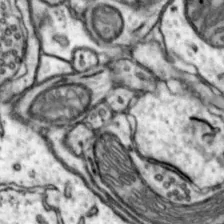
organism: Mouse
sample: Nucleus accumbens